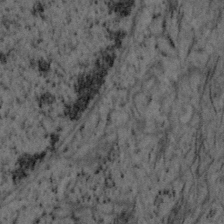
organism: Human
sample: HeLa cells